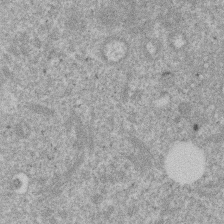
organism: Mouse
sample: Dividing mouse embryo 1 cell stage